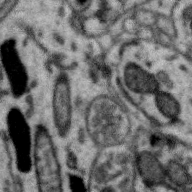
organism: Zebra finch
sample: Brain